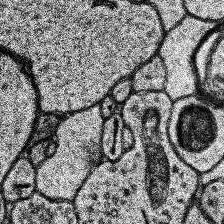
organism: Human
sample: Temporal Lobe